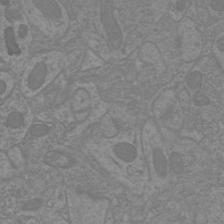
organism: Mouse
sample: Cortical neurons